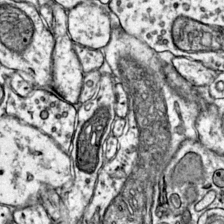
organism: Mouse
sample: Primary visual cortex